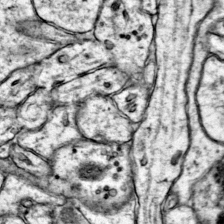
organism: Mouse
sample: Primary visual cortex